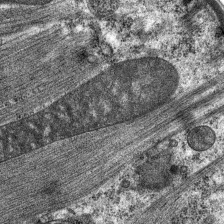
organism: C. elegans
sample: Pharynx